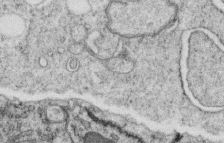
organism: C. elegans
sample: C. elegans oocyte; sperm cells